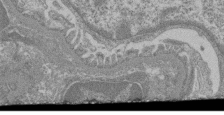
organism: Mouse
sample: Glomerulus